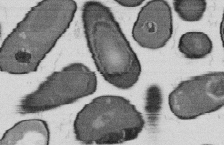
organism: B. subtilis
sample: Bacterial spore